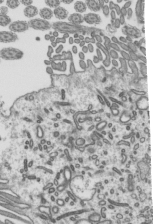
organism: Mouse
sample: Mouse epididymis efferent ductule cilia